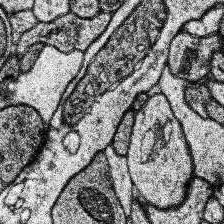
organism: Human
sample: Temporal Lobe